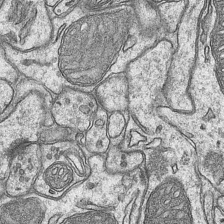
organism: Mouse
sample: CA1 Hippocampus